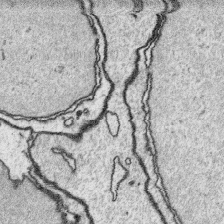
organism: Platynereis dumerilii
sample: Parapodia